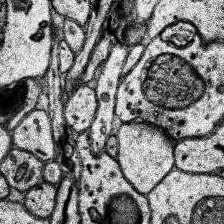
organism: Human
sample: Temporal Lobe